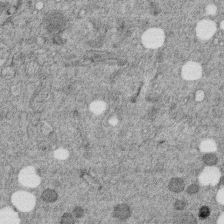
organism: C. elegans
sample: C. elegans embryo early stage